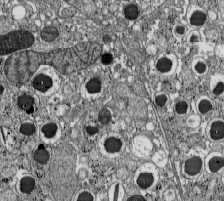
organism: C57BL Mouse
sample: Pancreatic islet